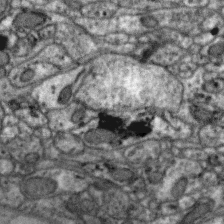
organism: Zebra finch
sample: Brain